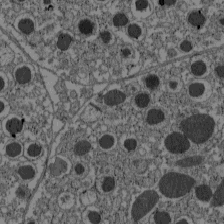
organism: C57BL Mouse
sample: Pancreatic islet